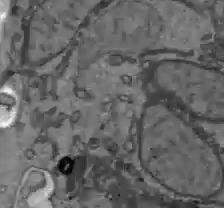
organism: C57BL Mouse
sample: Liver